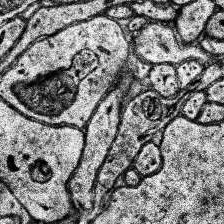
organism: Human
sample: Temporal Lobe